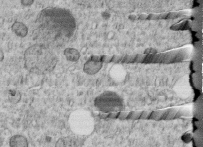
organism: C. elegans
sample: C. elegans embryo early stage